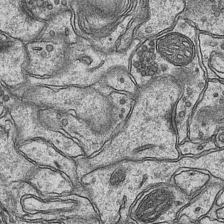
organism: Mouse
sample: CA1 Hippocampus